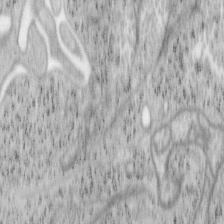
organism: Human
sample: HeLa cells